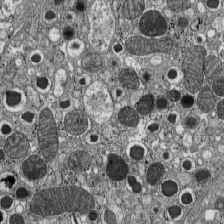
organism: C57BL Mouse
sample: Pancreatic islet